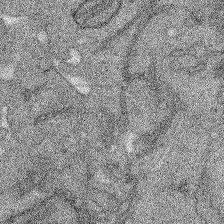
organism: Human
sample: HeLa cells